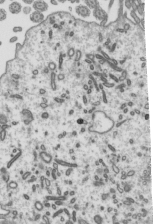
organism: Mouse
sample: Mouse epididymis efferent ductule cilia